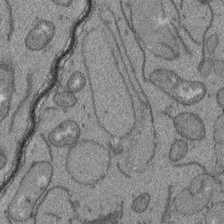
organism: Arabidopsis thaliana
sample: Root tip